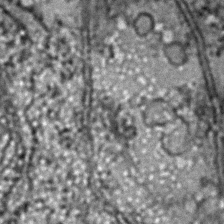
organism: Zebrafish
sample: Zebrafish embryo